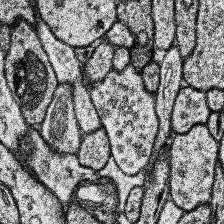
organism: Human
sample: Temporal Lobe